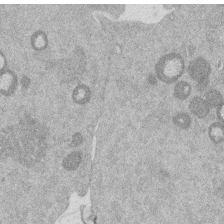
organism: Mouse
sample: Dividing mouse embryo 1 cell stage